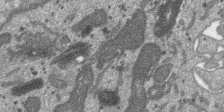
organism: Human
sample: Lung epithelial cells infected with SARS-CoV-2